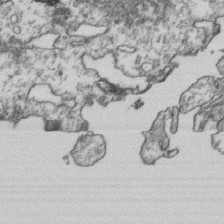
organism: Human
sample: Activated Jurkat CD4+ T cells